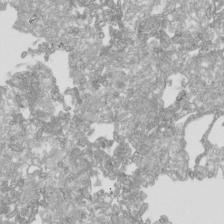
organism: Human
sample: Mitochondria in HCT116 cells